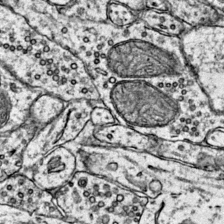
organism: Mouse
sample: Primary visual cortex